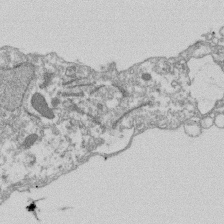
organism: Dictyostelium discoideum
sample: Dictyostelium multivesicular bodies